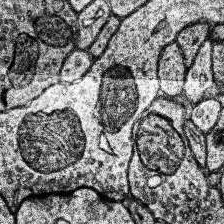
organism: Human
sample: Temporal Lobe